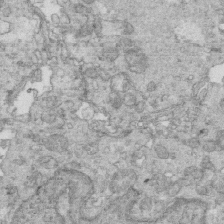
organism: Mouse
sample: Multiciliated cells